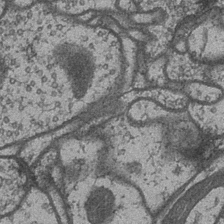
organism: Drosophila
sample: Optic medulla